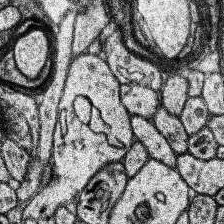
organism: Human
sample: Temporal Lobe